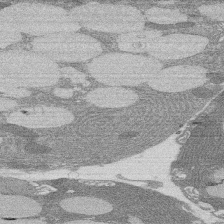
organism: Rat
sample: Salivary granule